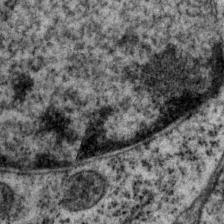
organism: P. pacificus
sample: Pharynx